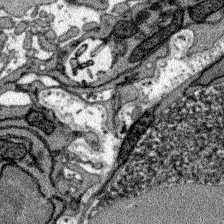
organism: Zebrafish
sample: Larval olfactory bulb